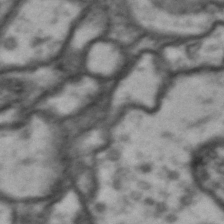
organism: Drosophila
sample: Brain